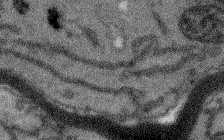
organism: Arabidopsis thaliana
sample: Root tip